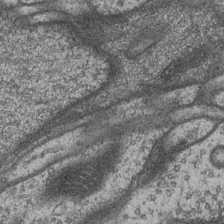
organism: Drosophila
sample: Optic medulla